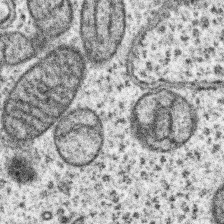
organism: Human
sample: HeLa cells